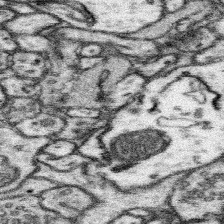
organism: Mouse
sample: Somatosensory cortex neuropil